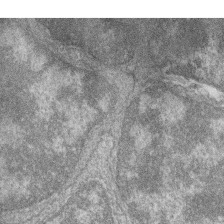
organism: Zebrafish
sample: Cilia; retinal pigment epithelium